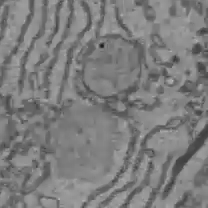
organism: C57BL Mouse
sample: Liver